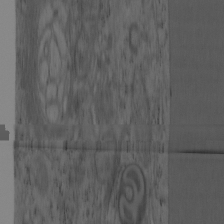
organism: Human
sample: HeLa cells